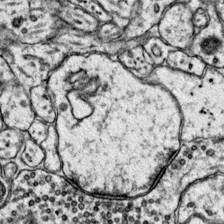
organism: Mouse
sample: Primary visual cortex